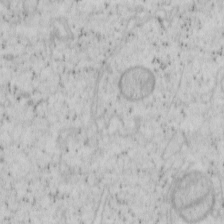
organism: Human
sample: HeLa cells